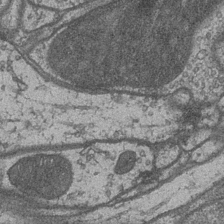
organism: Drosophila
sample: Optic medulla